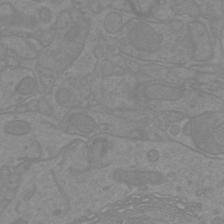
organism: Mouse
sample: Cortical neurons